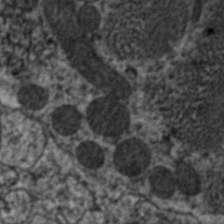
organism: C. elegans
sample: Pharynx